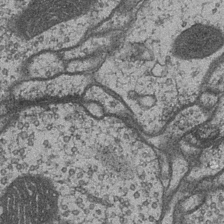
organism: Drosophila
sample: Optic medulla